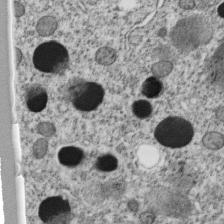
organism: C. elegans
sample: C. elegans embryo early stage